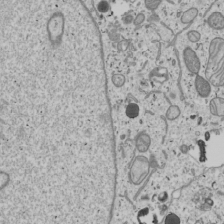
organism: Human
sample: Mitochondria in U2OS cells